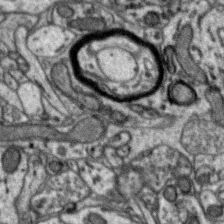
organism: Zebra finch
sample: Brain